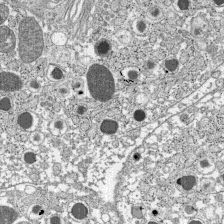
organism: C57BL Mouse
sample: Pancreatic islet